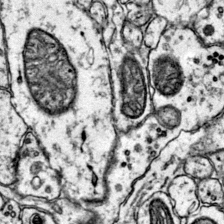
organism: Mouse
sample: Primary visual cortex